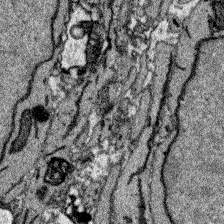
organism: Zebrafish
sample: Larval olfactory bulb